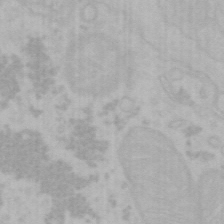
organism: Mouse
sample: Choroid plexus